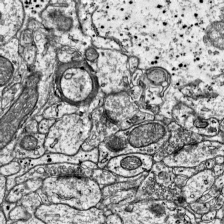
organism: Mouse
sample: Visual Cortex